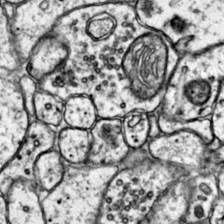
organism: Mouse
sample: Primary visual cortex